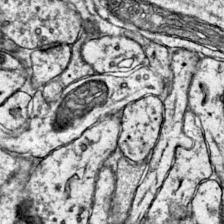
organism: Mouse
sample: Primary visual cortex